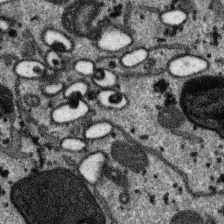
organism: Human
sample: Lung epithelial cells infected with SARS-CoV-2